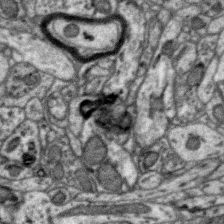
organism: Zebra finch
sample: Brain